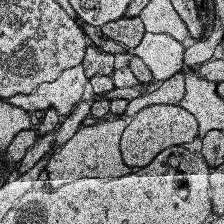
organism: Human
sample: Temporal Lobe